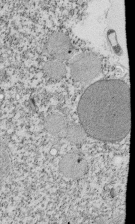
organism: Tetrahymena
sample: Cilia in tetrahymena